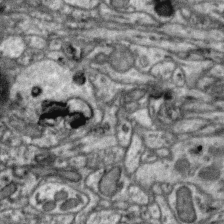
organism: Zebra finch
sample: Brain